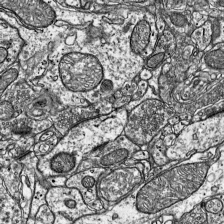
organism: Mouse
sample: Visual Cortex